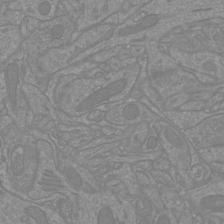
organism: Mouse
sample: Cortical neurons